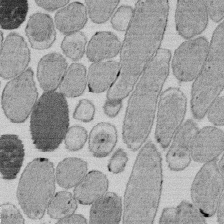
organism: E. coli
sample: Bacterial nucleoid